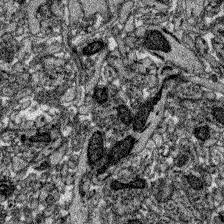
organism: Zebrafish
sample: Larval olfactory bulb